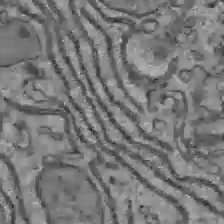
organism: C57BL Mouse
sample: Liver